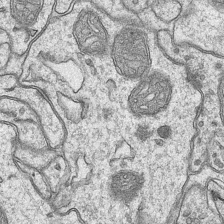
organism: Mouse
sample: CA1 Hippocampus